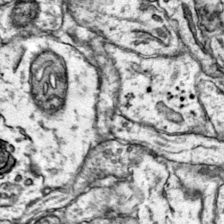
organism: Mouse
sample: Primary visual cortex